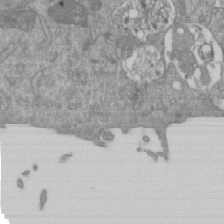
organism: Mouse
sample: ED-1 cell nuclei; centrioles